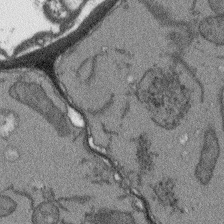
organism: Arabidopsis thaliana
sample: Root tip